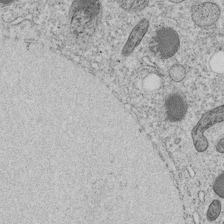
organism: C. elegans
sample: C. elegans embryo early stage